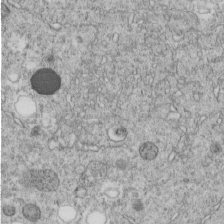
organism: C. elegans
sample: C. elegans embryo early stage